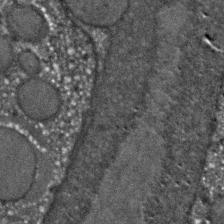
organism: C. elegans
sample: C. elegans embryo